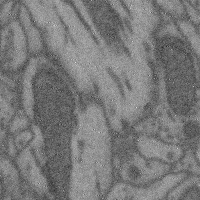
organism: Mouse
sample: Cerebral cortex